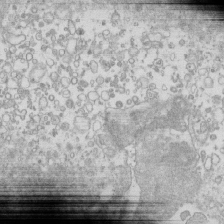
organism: Mouse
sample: Macrophages